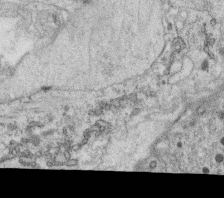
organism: C. elegans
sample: C. elegans oocyte; sperm cells